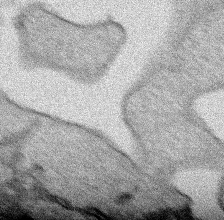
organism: Human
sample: Mitochondria in HCT116 cells